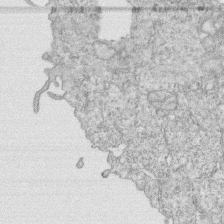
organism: Human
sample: HeLa cell HIV synapse